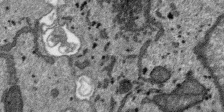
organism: Human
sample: Lung epithelial cells, uninfected (mock) control